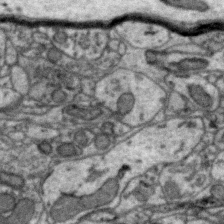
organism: Zebra finch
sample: Brain